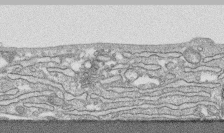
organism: Human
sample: CRL-1474